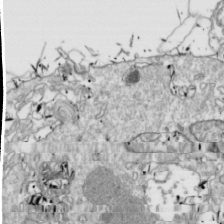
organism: Drosophila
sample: Cell division; meiosis; drosophila spermatocytes